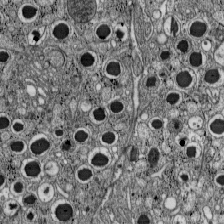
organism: C57BL Mouse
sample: Pancreatic islet